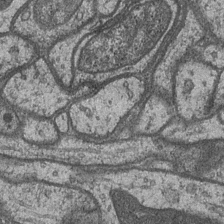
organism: Drosophila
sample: Optic medulla